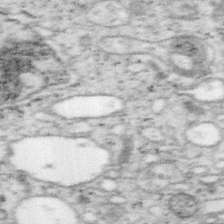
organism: Mouse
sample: OT-I killer T cells with ID8 ovarian cancer cells